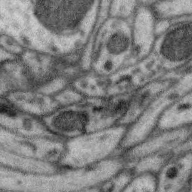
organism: Zebra finch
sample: Brain